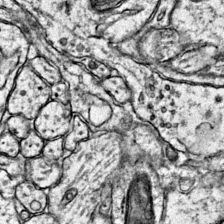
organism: Mouse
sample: Primary visual cortex